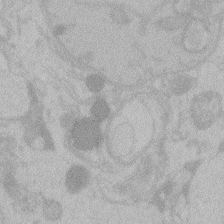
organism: Zebrafish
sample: Macrophage infected with Toxoplasma gondii